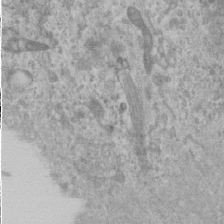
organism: Human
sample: Cilia; basal body in RPE cells